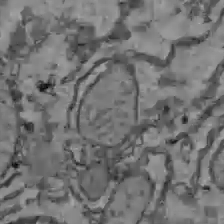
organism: C57BL Mouse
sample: Liver